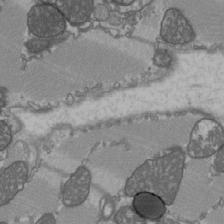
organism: C57BL Mouse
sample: Heart